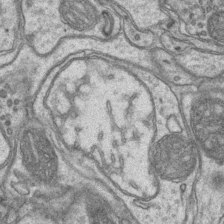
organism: Mouse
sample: CA1 Hippocampus